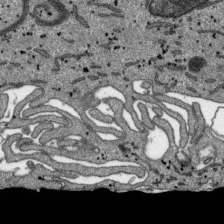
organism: Human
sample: Lung epithelial cells, uninfected (mock) control